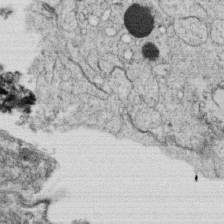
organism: C. elegans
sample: C. elegans oocyte; sperm cells